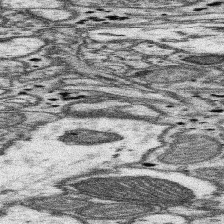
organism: Mouse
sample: Somatosensory cortex neuropil